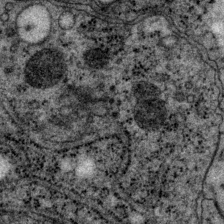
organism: P. pacificus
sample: Pharynx